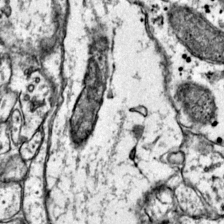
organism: Mouse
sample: Primary visual cortex